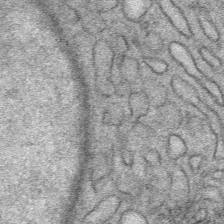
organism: Mouse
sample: Mouse Salivary gland